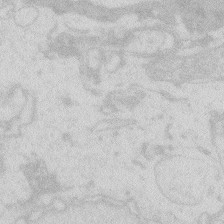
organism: Zebrafish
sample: Macrophage